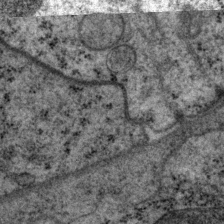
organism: P. pacificus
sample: Pharynx